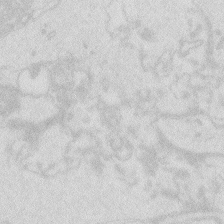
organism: Zebrafish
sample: Macrophage